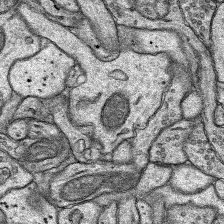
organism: Rat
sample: Hippocampus